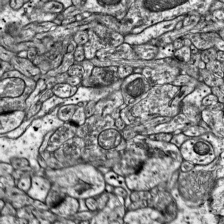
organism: Mouse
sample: Visual Cortex